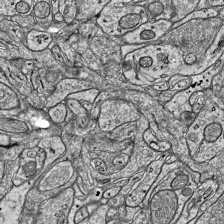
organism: Mouse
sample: Visual Cortex